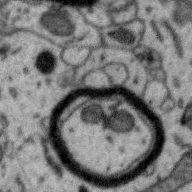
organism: Zebra finch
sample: Brain